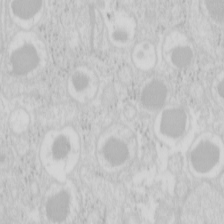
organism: Mouse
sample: Pancreas